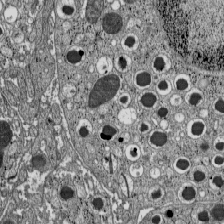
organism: C57BL Mouse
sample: Pancreatic islet